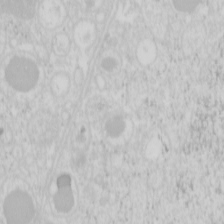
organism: Mouse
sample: Pancreas